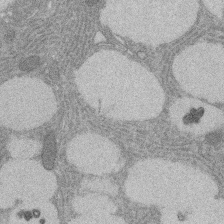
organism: Rat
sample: Salivary granule